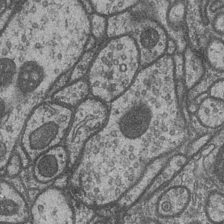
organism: Drosophila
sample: Optic medulla